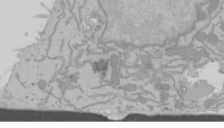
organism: Mouse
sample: Cancer cell death in ED-1 cells